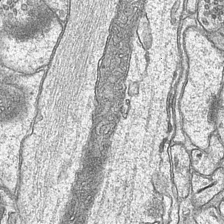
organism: Mouse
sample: CA1 Hippocampus